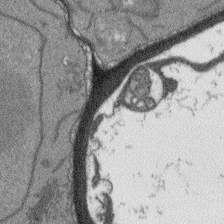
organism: Arabidopsis thaliana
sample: Root tip